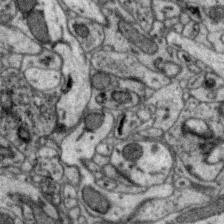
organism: Zebra finch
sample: Brain